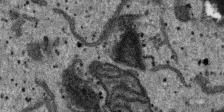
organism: Human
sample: Lung epithelial cells, uninfected (mock) control